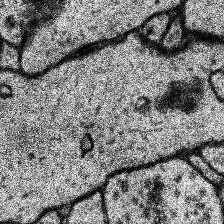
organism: Human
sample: Temporal Lobe